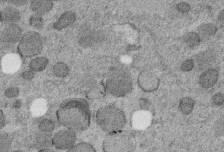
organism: C. elegans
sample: C. elegans embryo early stage